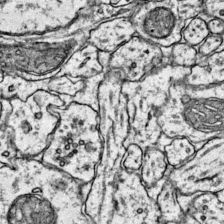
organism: Mouse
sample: Primary visual cortex